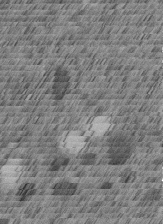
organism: C. elegans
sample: C. elegans embryo early stage